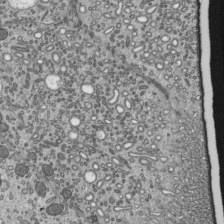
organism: Mouse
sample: Mouse epididymis efferent ductule cilia